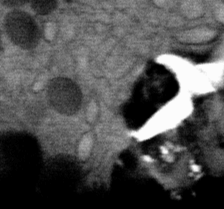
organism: Mouse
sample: Mouse Salivary gland